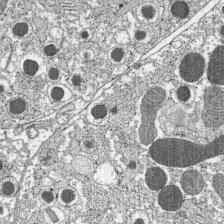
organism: C57BL Mouse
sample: Pancreatic islet